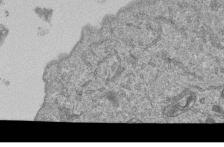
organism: Human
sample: MDA-MB-231 cells